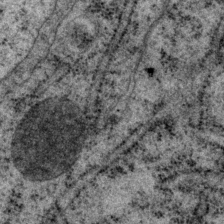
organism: P. pacificus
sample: Pharynx